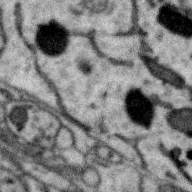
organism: Zebra finch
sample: Brain